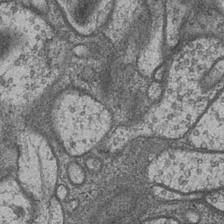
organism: Drosophila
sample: Optic medulla